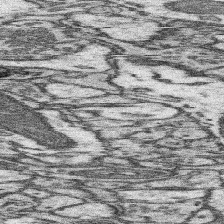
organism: Mouse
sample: Somatosensory cortex neuropil